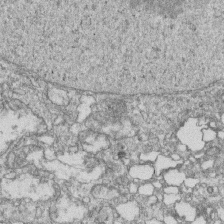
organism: Human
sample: HeLa cell HIV synapse